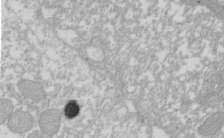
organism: Xenopus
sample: Cilia; centrioles in frog embryo cells